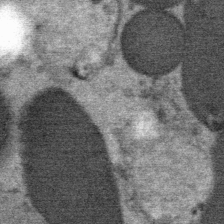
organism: Mouse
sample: Mouse Salivary gland